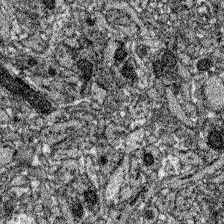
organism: Zebrafish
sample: Larval olfactory bulb